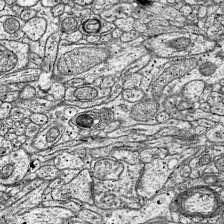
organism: Mouse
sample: Visual Cortex